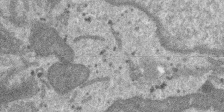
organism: Human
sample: Lung epithelial cells infected with SARS-CoV-2